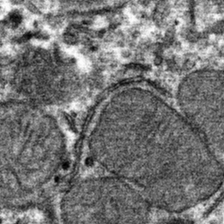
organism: Mouse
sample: Mouse hepatocytes